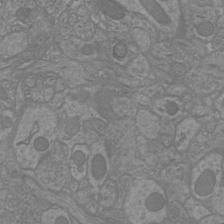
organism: Mouse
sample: Cortical neurons